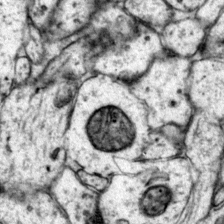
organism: Mouse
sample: Primary visual cortex